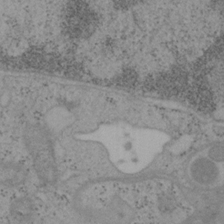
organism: Mouse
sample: OT-I killer T cells with ID8 ovarian cancer cells